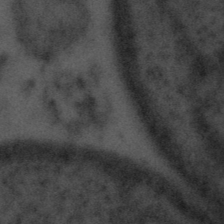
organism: Tuwongella immobilis